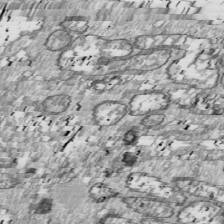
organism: Drosophila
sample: Cell division; meiosis; drosophila spermatocytes